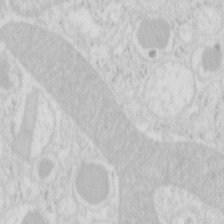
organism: Mouse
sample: Pancreas